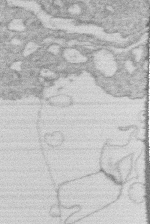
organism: Human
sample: Macrophage cells